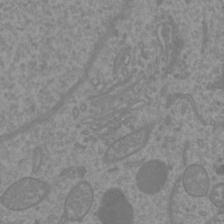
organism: Mouse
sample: Cortical neurons